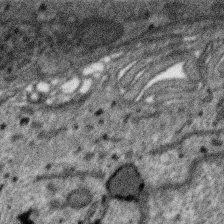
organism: Human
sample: Lung epithelial cells infected with SARS-CoV-2